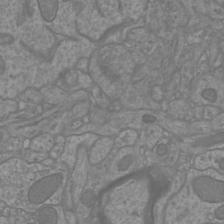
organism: Mouse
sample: Cortical neurons